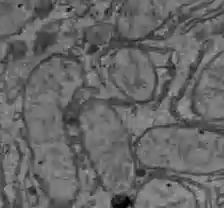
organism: C57BL Mouse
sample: Liver